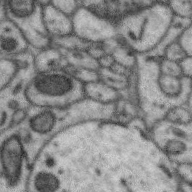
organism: Zebra finch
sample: Brain